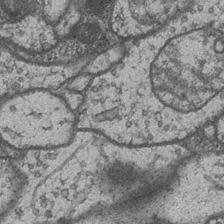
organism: Drosophila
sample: Optic medulla